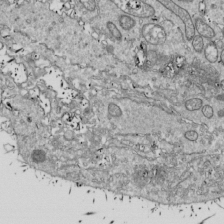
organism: Drosophila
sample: Cell division; meiosis; drosophila spermatocytes